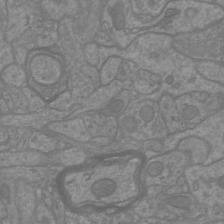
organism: Mouse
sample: Cortical neurons